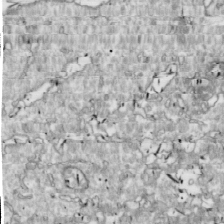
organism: Drosophila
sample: Cell division; meiosis; drosophila spermatocytes